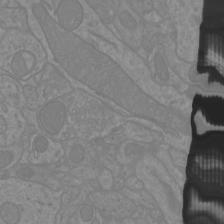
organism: Mouse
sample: Cortical neurons